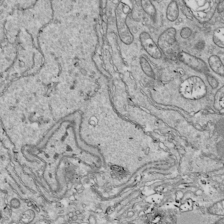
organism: Drosophila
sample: Cell division; meiosis; drosophila spermatocytes